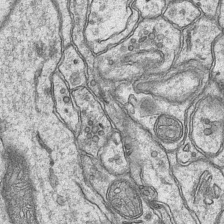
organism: Mouse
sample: CA1 Hippocampus